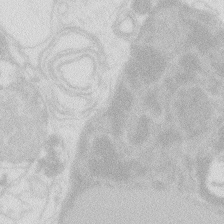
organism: Zebrafish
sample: Macrophage